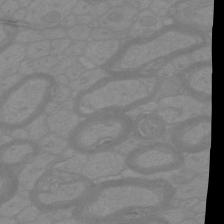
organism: Mouse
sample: Cortical neurons